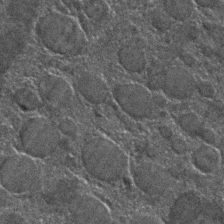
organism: C. elegans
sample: C. elegans embryo